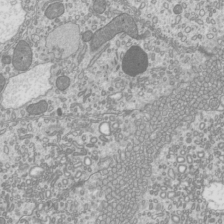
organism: Mouse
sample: Cilia; mouse epididymis